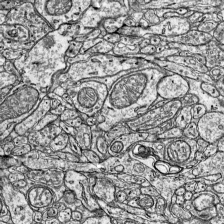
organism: Mouse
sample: Visual Cortex